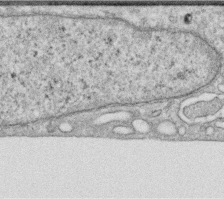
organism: Human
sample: Centriole in RPE cells